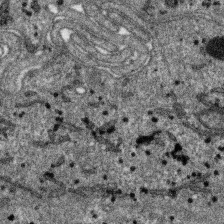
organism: Human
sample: Lung epithelial cells infected with SARS-CoV-2